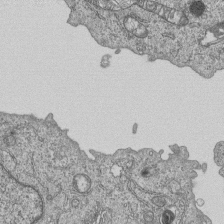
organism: Human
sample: MDA-MB-231 cells